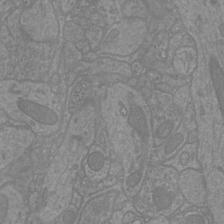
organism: Mouse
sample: Cortical neurons